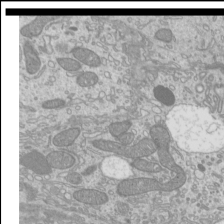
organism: Mouse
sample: Cilia; mouse epididymis